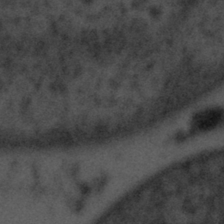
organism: Tuwongella immobilis